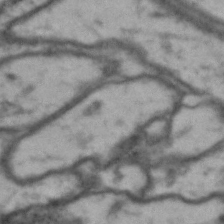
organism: Drosophila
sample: Brain